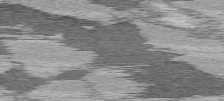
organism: C57BL Mouse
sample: Heart